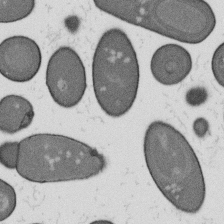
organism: B. subtilis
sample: Bacterial spore